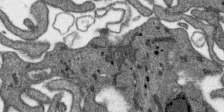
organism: Human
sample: Lung epithelial cells, uninfected (mock) control